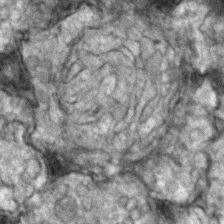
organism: Zebrafish